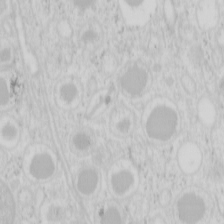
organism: Mouse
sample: Pancreas